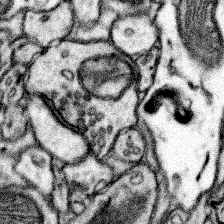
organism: Mouse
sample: Somatosensory cortex neuropil